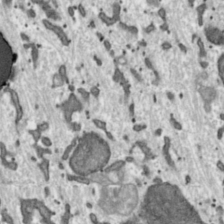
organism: Toxoplasma gondii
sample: Parasites in a vacuole inside a host cell